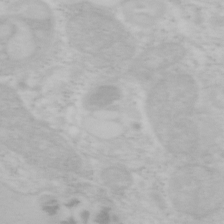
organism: Mouse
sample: OT-I killer T cells with ID8 ovarian cancer cells